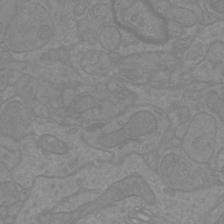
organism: Mouse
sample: Cortical neurons